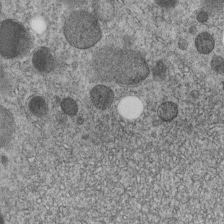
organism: C. elegans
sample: C. elegans embryo early stage